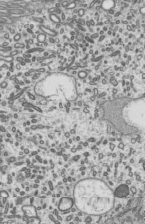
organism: Mouse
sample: Mouse epididymis efferent ductule cilia